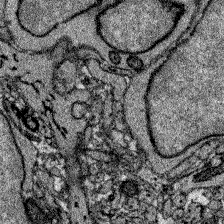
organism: Zebrafish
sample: Larval olfactory bulb